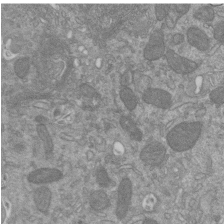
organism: Mouse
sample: ED-1 cell nuclei; centrioles